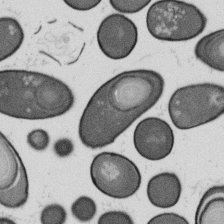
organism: B. subtilis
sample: Bacterial spore